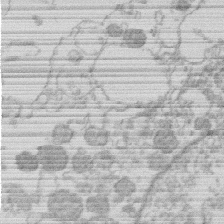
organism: Human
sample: Macrophage cells